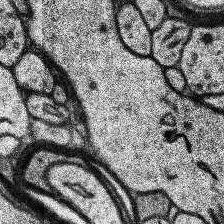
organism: Human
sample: Temporal Lobe